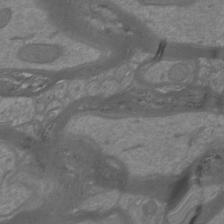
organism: Mouse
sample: Cortical neurons